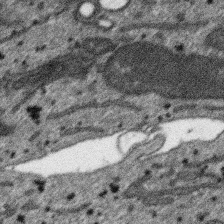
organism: Human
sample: Lung epithelial cells infected with SARS-CoV-2